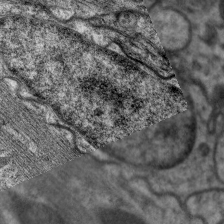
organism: C. elegans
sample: Pharynx